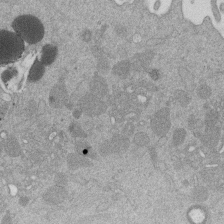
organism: Mouse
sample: Dividing mouse embryo 1 cell stage